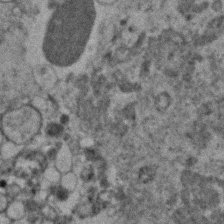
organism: Human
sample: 1205lu cells